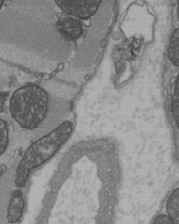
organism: C57BL Mouse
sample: Heart